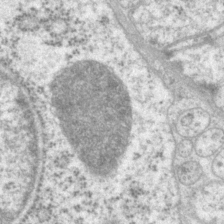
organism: P. pacificus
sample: Pharynx